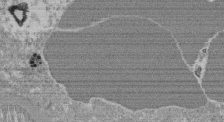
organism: Mouse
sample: Glomerulus